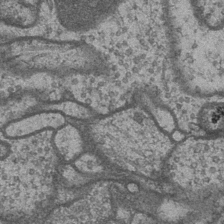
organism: Drosophila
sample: Optic medulla